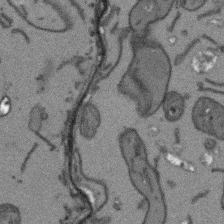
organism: Arabidopsis thaliana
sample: Root tip